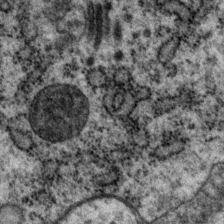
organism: P. pacificus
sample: Pharynx